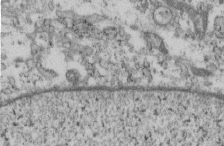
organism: Mouse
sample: Cilia; retinal pigment epithelium